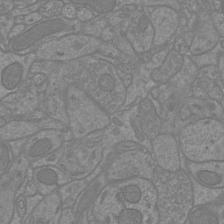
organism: Mouse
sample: Cortical neurons